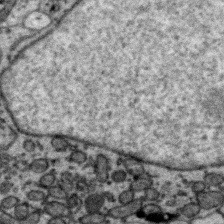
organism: Zebra finch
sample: Brain